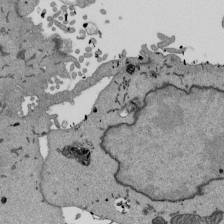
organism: Mouse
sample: ED-1 cell nuclei; centrioles